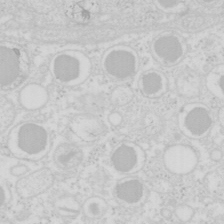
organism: Mouse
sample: Pancreas